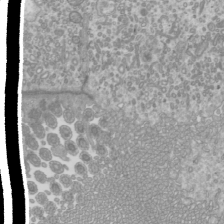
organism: Mouse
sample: Cilia; mouse epididymis